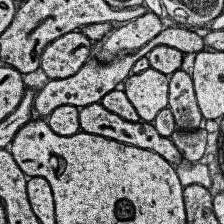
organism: Human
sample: Temporal Lobe